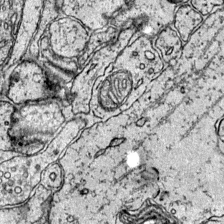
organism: Mouse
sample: Primary visual cortex